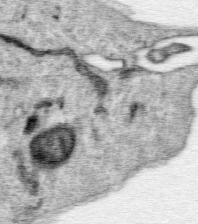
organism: Human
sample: HeLa cells